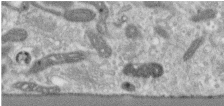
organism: Human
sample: Centriole in RPE cells